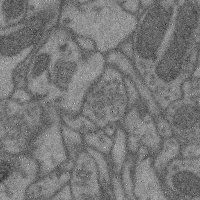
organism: Mouse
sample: Cerebral cortex